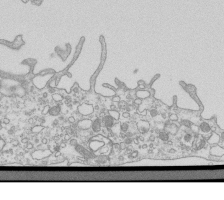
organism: Mouse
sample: Macrophages